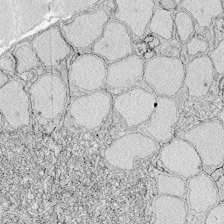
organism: Zebrafish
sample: Whole-Brain